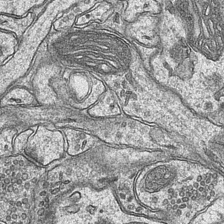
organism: Mouse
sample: CA1 Hippocampus